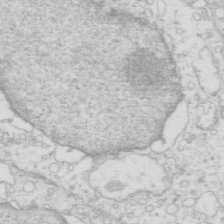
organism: Mouse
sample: Multiciliated cells